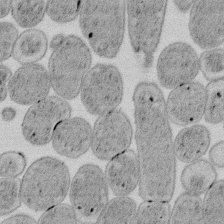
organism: E. coli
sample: Bacterial nucleoid